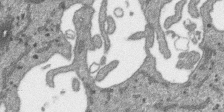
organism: Human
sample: Lung epithelial cells infected with SARS-CoV-2